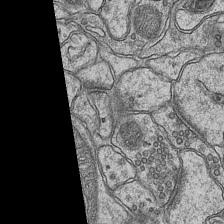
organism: Mouse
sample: CA1 Hippocampus